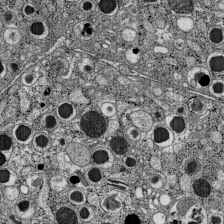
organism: C57BL Mouse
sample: Pancreatic islet